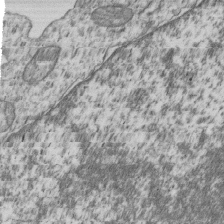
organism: Human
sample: MDA-MB-231 cells